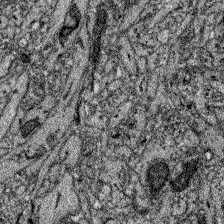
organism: Zebrafish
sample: Larval olfactory bulb